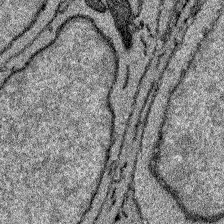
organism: Zebrafish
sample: Larval olfactory bulb